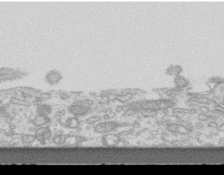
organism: Mouse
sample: Centriole in ependymal cells